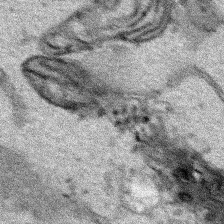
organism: Human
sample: Mitochondria in HCT116 cells